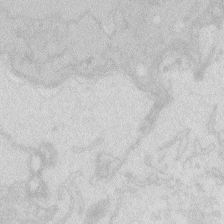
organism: Zebrafish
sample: Macrophage